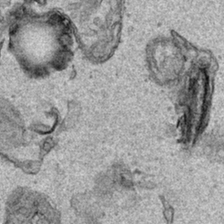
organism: Human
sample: Mitochondria in HCT116 cells